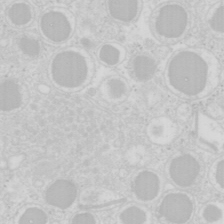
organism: Mouse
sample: Pancreas